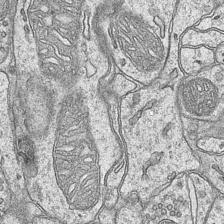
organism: Mouse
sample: CA1 Hippocampus